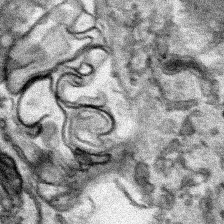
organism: Human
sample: Mitochondria in HCT116 cells